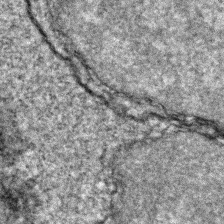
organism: Zebrafish